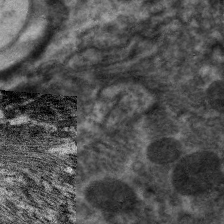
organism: C. elegans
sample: Pharynx